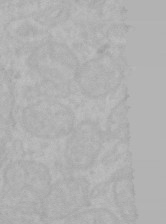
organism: Mouse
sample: Choroid plexus